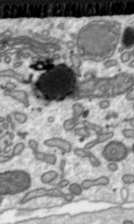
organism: Toxoplasma gondii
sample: Parasites in a vacuole inside a host cell